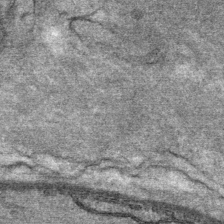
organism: Mouse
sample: Mouse Salivary gland